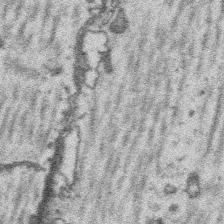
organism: Platynereis dumerilii